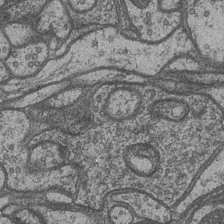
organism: Drosophila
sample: Optic medulla